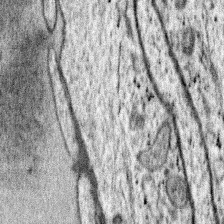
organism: Human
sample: HeLa cells